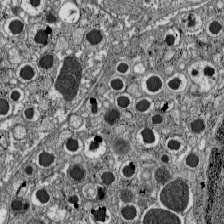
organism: C57BL Mouse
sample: Pancreatic islet